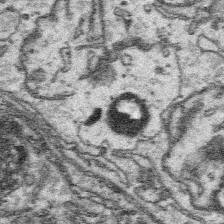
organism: Platynereis dumerilii